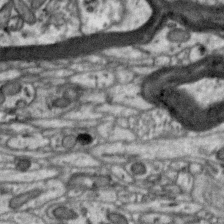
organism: Zebra finch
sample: Brain